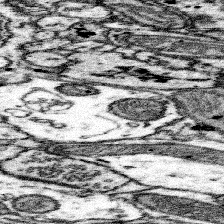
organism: Mouse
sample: Somatosensory cortex neuropil